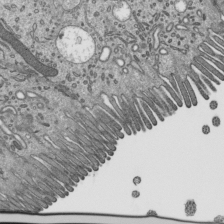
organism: Mouse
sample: Mouse epididymis efferent ductule cilia